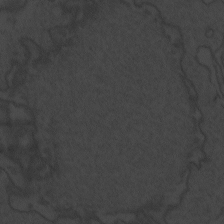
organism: Zebrafish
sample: Macrophage infected with Toxoplasma gondii